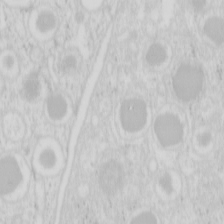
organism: Mouse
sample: Pancreas